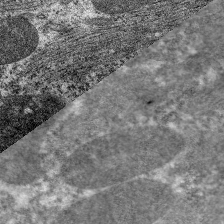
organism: C. elegans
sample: Pharynx